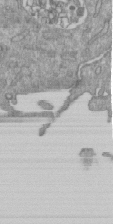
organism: Mouse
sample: ED-1 cell nuclei; centrioles